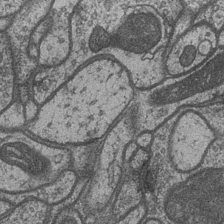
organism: Drosophila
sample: Optic medulla